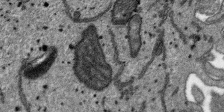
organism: Human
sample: Lung epithelial cells, uninfected (mock) control